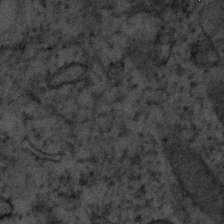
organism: Human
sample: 1205lu cells